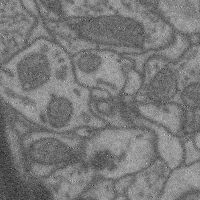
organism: Mouse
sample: Cerebral cortex